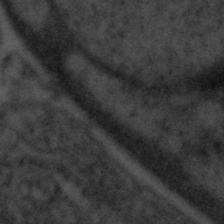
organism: Tuwongella immobilis